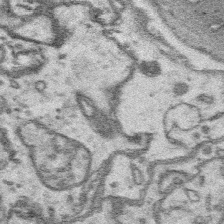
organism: Platynereis dumerilii